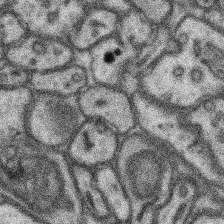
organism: Mouse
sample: Somatosensory cortex neuropil